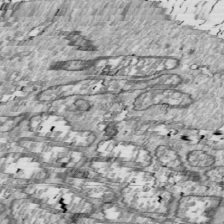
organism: Drosophila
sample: Cell division; meiosis; drosophila spermatocytes